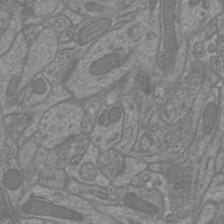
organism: Mouse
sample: Cortical neurons